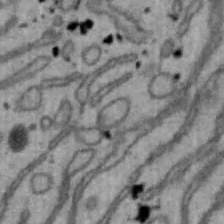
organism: Mouse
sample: Liver